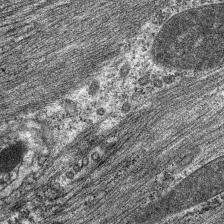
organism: C. elegans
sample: Pharynx